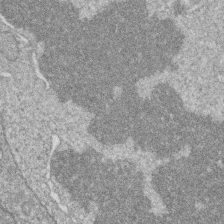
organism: Zebrafish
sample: Cilia; retinal pigment epithelium